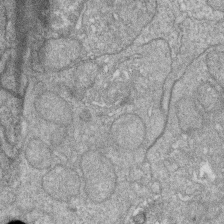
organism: Zebrafish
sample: Cilia; retinal pigment epithelium